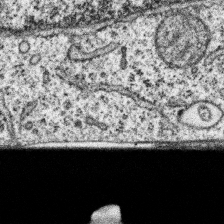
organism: Human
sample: HeLa cells